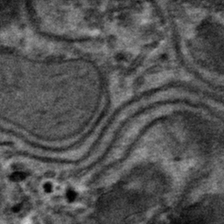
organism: Mouse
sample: Mouse hepatocytes